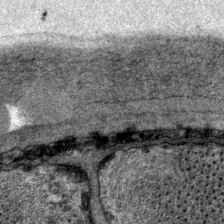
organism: P. pacificus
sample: Pharynx